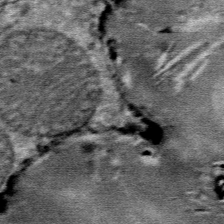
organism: Mouse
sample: Mouse Salivary gland